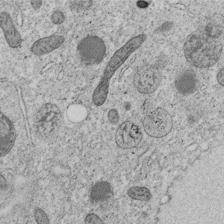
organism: C. elegans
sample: C. elegans embryo early stage